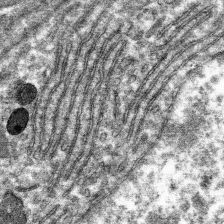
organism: Mouse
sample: Mouse hepatocytes